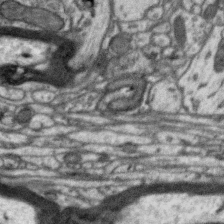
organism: Zebra finch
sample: Brain